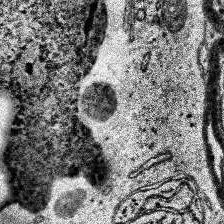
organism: Human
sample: Temporal Lobe